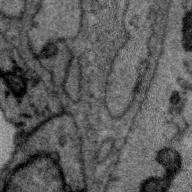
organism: Zebra finch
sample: Brain